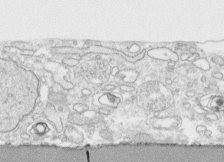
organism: Human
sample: CRL-1474